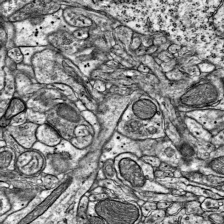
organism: Mouse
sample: Visual Cortex